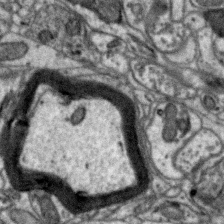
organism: Zebra finch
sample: Brain